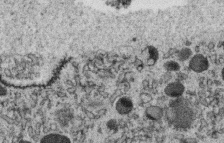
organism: C. elegans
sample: C. elegans oocyte; sperm cells